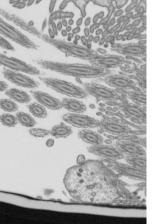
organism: Mouse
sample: Mouse epididymis efferent ductule cilia